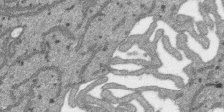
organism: Human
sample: Lung epithelial cells infected with SARS-CoV-2